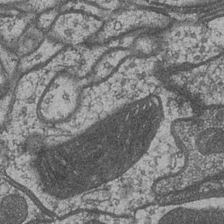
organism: Drosophila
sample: Optic medulla